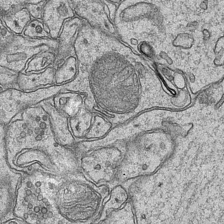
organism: Mouse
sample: CA1 Hippocampus